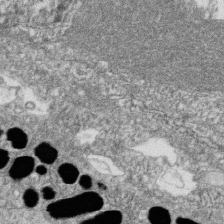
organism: Zebrafish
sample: Cilia; retinal pigment epithelium